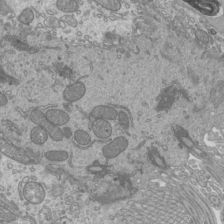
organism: Mouse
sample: Cilia; mouse epididymis